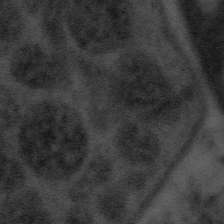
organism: Tuwongella immobilis